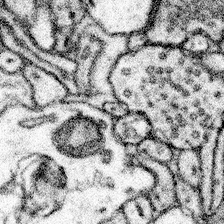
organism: Mouse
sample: Somatosensory cortex neuropil